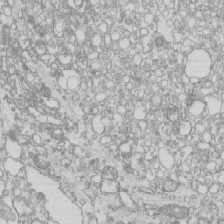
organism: Mouse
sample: Macrophages